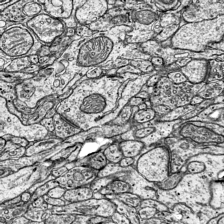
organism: Mouse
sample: Visual Cortex